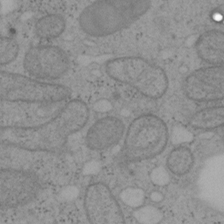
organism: Mouse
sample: OT-I killer T cells with ID8 ovarian cancer cells